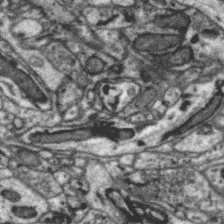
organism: Zebra finch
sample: Brain